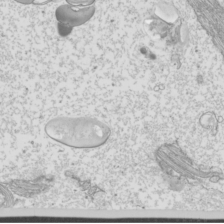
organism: Mouse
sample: Cilia; mouse epididymis